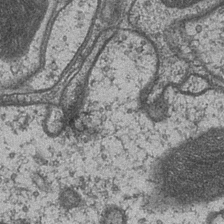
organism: Drosophila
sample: Optic medulla